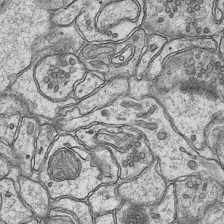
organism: Mouse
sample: CA1 Hippocampus